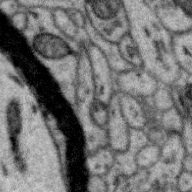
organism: Zebra finch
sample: Brain